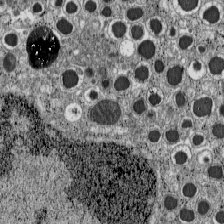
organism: C57BL Mouse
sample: Pancreatic islet